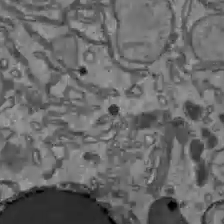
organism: C57BL Mouse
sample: Liver